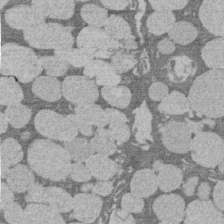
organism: Rat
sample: Salivary granule